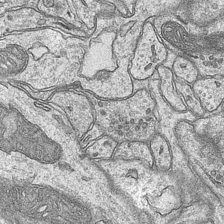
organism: Mouse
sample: CA1 Hippocampus